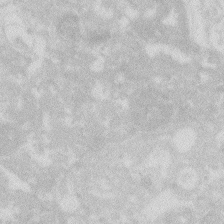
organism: Zebrafish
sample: Macrophage